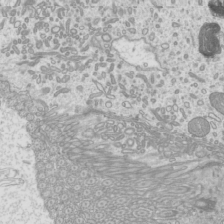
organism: Mouse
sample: Cilia; mouse epididymis